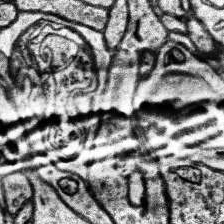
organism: Human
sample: Temporal Lobe